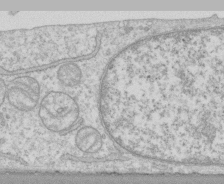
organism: Human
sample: CRL-1474